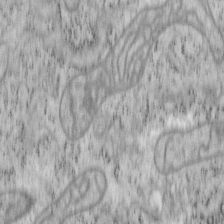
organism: Human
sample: HeLa cells